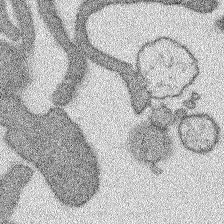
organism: Human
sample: HeLa cells